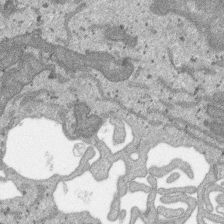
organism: Human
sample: Lung epithelial cells infected with SARS-CoV-2